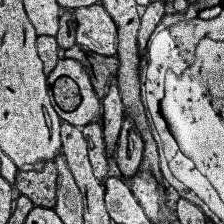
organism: Human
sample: Temporal Lobe